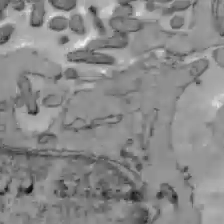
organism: C57BL Mouse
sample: Liver